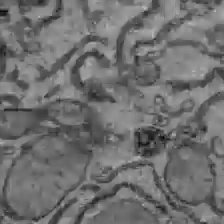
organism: C57BL Mouse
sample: Liver